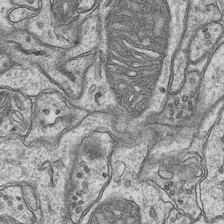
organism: Mouse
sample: CA1 Hippocampus